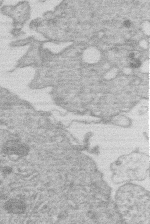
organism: Human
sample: Macrophage cells